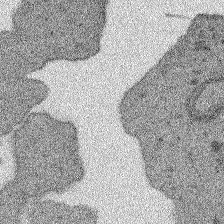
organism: Human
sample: HeLa cells